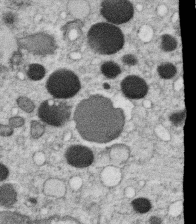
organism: C. elegans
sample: C. elegans oocyte; sperm cells